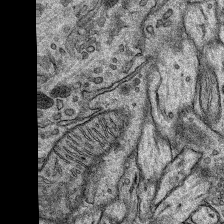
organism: Rat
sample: Hippocampus